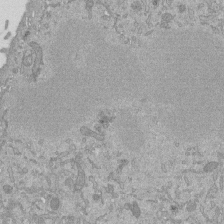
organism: Mouse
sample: ED-1 cell nuclei; centrioles